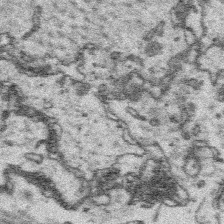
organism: Platynereis dumerilii